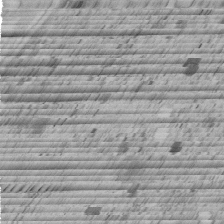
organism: C. elegans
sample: C. elegans embryo early stage